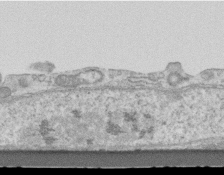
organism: Mouse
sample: Centriole in ependymal cells